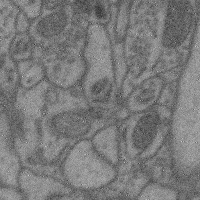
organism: Mouse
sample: Cerebral cortex